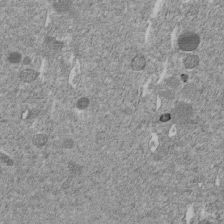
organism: C. elegans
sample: C. elegans embryo early stage